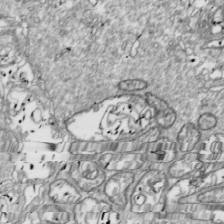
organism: Drosophila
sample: Cell division; meiosis; drosophila spermatocytes